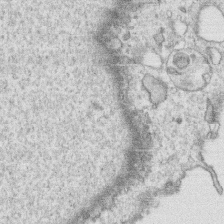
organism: Human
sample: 1205lu cells